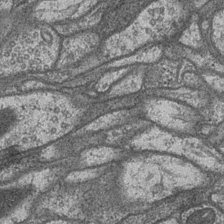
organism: Drosophila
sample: Optic medulla